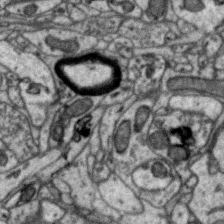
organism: Zebra finch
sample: Brain